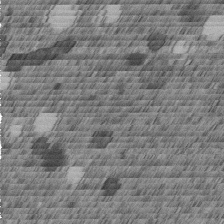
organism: C. elegans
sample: C. elegans embryo early stage